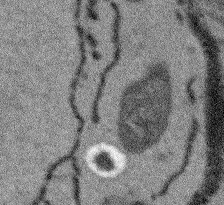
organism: Arabidopsis thaliana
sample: Root tip